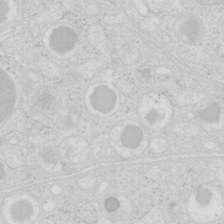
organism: Mouse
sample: Pancreas